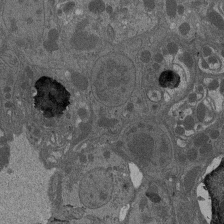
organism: Drosophila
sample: Antenna